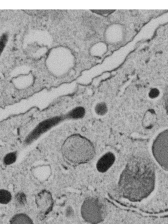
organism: C. elegans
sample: C. elegans embryo early stage